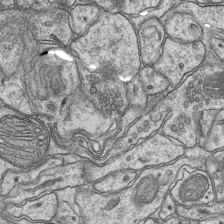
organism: Mouse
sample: CA1 Hippocampus